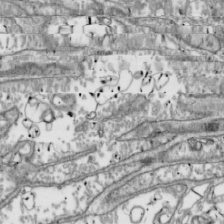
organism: Drosophila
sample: Cell division; meiosis; drosophila spermatocytes